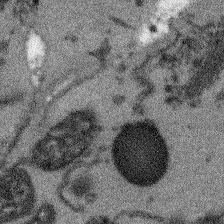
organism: Arabidopsis thaliana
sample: Root tip